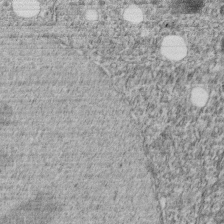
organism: C. elegans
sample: C. elegans embryo early stage